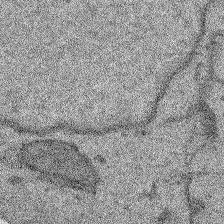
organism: Human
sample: HeLa cells